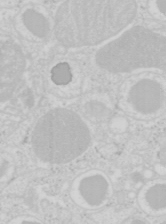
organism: Mouse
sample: Pancreas